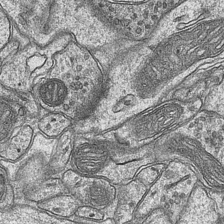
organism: Mouse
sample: CA1 Hippocampus